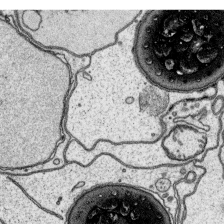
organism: Platynereis dumerilii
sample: Parapodia